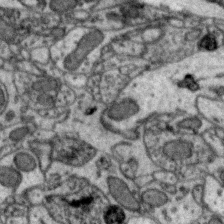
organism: Zebra finch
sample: Brain